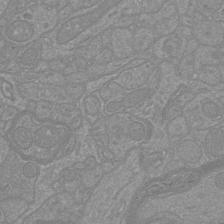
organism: Mouse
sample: Cortical neurons